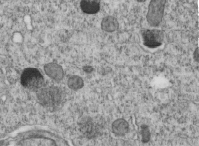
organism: C. elegans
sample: C. elegans embryo early stage